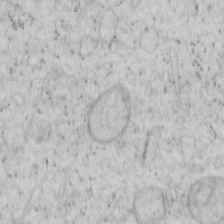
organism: Human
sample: HeLa cells